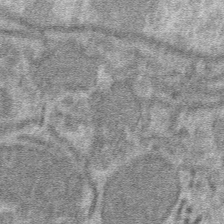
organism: Mouse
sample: Mouse hepatocytes